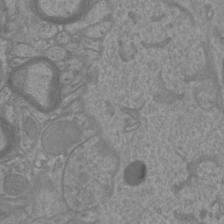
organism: Mouse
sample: Cortical neurons